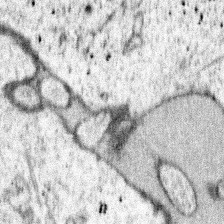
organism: Human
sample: HeLa cells